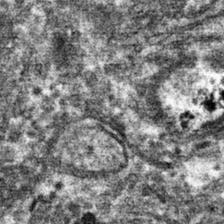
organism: Mouse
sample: Mouse hepatocytes